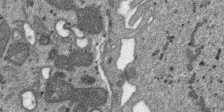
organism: Human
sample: Lung epithelial cells infected with SARS-CoV-2